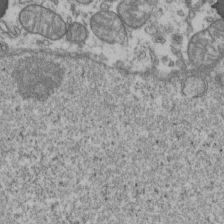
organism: Human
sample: Activated Jurkat CD4+ T cells